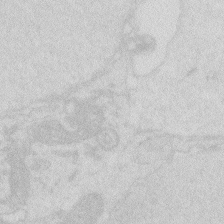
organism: Zebrafish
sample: Macrophage